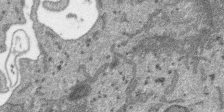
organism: Human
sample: Lung epithelial cells infected with SARS-CoV-2